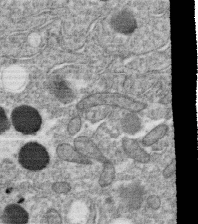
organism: C. elegans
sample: C. elegans oocyte; sperm cells